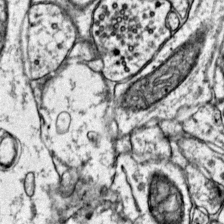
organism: Mouse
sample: Primary visual cortex